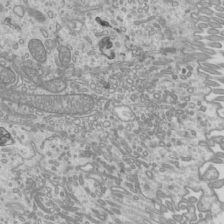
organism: Mouse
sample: Cilia; mouse epididymis